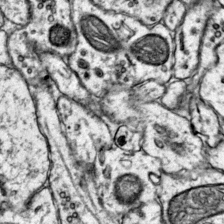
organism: Mouse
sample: Primary visual cortex